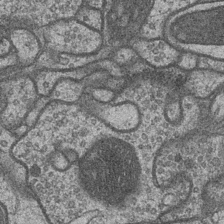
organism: Drosophila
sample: Optic medulla